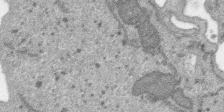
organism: Human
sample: Lung epithelial cells infected with SARS-CoV-2